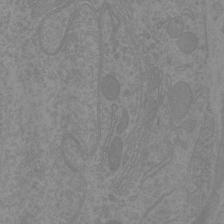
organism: Mouse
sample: Cortical neurons